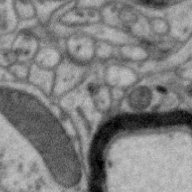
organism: Zebra finch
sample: Brain